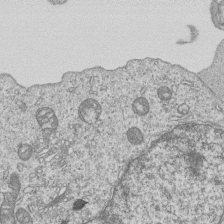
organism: Human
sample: MDA-MB-231 cells